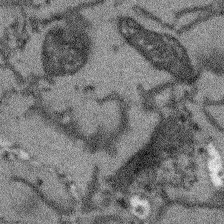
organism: Arabidopsis thaliana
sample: Root tip